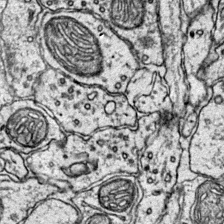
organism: Mouse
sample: Primary visual cortex